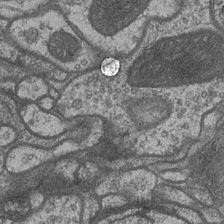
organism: Drosophila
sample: Optic medulla